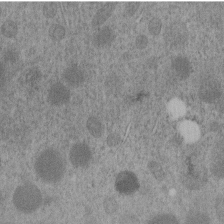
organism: C. elegans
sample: C. elegans embryo early stage